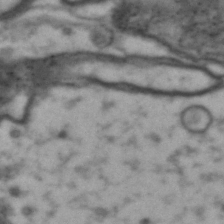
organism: Drosophila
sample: Brain